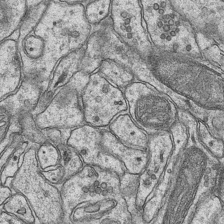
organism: Mouse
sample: CA1 Hippocampus